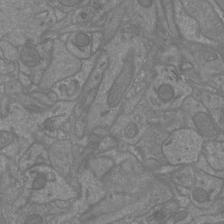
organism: Mouse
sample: Cortical neurons